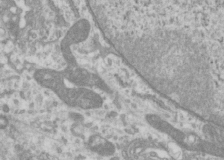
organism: Human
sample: Cilia; basal body in RPE cells